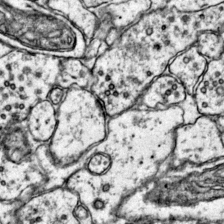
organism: Mouse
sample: Primary visual cortex